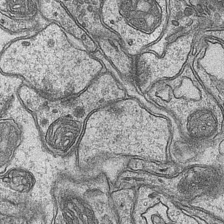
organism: Mouse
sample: CA1 Hippocampus